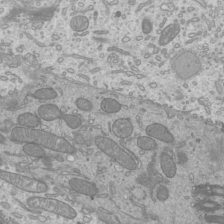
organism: Mouse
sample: Cilia; mouse epididymis